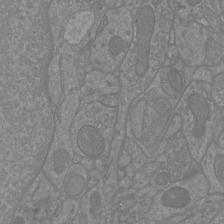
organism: Mouse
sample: Cortical neurons